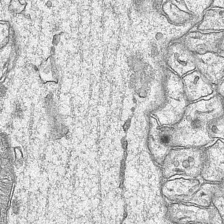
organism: Mouse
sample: CA1 Hippocampus